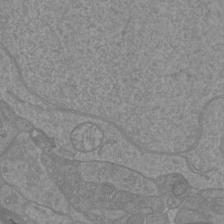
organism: Mouse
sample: Cortical neurons